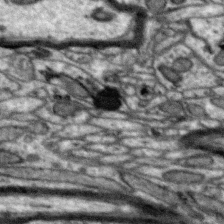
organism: Zebra finch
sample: Brain